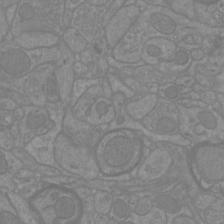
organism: Mouse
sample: Cortical neurons